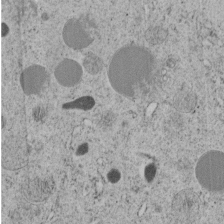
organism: C. elegans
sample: C. elegans embryo early stage